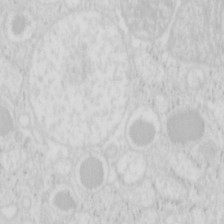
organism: Mouse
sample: Pancreas